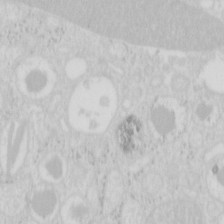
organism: Mouse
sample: Pancreas